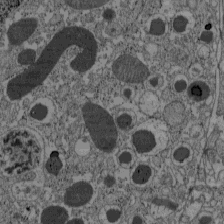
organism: C57BL Mouse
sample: Pancreatic islet